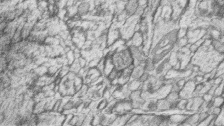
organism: Zebrafish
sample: synaptic ribbons in rod cells and cone cells